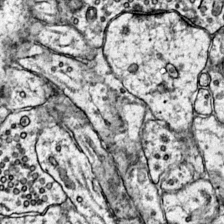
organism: Mouse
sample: Primary visual cortex